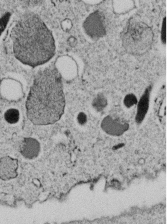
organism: C. elegans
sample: C. elegans embryo early stage